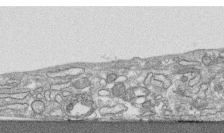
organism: Human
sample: CRL-1474